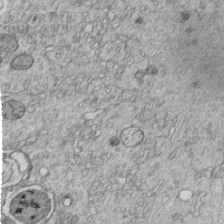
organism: C. elegans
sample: C. elegans embryo early stage